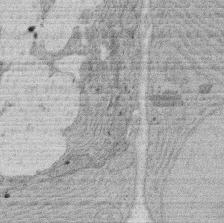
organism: Rat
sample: Salivary granule